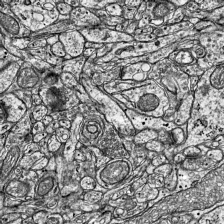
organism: Mouse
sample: Visual Cortex